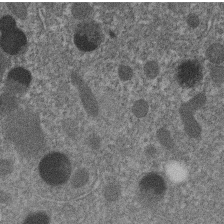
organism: C. elegans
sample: C. elegans embryo early stage